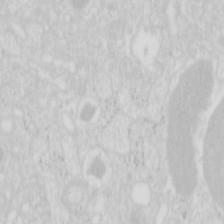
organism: Mouse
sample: Pancreas